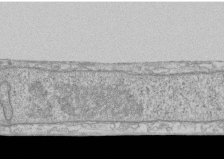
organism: Human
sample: CRL-1474